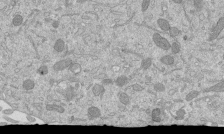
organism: Mouse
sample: ED-1 cell nuclei; centrioles